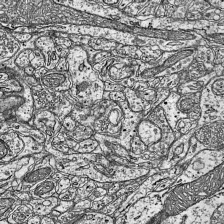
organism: Mouse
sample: Visual Cortex